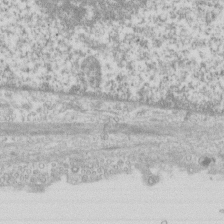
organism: Human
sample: CRL-1474